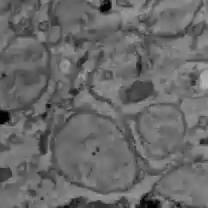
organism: C57BL Mouse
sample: Liver